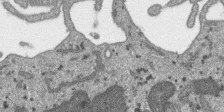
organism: Human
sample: Lung epithelial cells infected with SARS-CoV-2